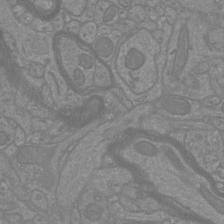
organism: Mouse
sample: Cortical neurons